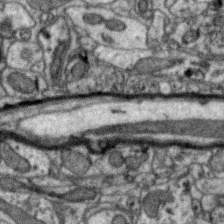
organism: Zebra finch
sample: Brain